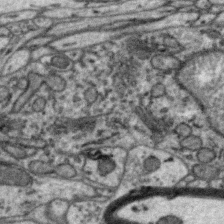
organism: Zebra finch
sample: Brain